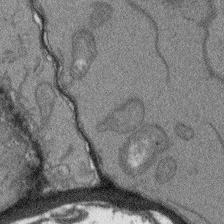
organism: Arabidopsis thaliana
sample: Root tip